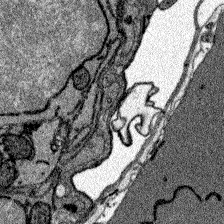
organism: Zebrafish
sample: Larval olfactory bulb